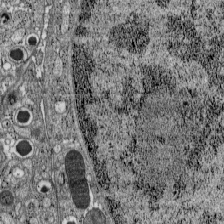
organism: C57BL Mouse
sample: Pancreatic islet